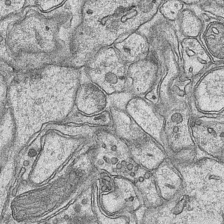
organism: Mouse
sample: CA1 Hippocampus